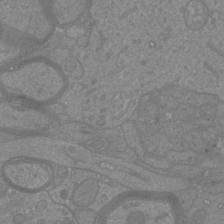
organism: Mouse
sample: Cortical neurons